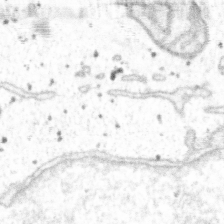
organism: Human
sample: HeLa cells